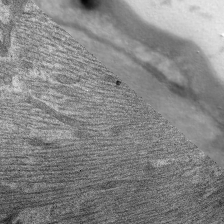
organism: C. elegans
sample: Pharynx